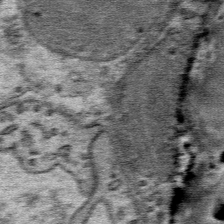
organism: Mouse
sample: Mouse Salivary gland